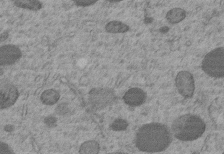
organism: C. elegans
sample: C. elegans embryo early stage